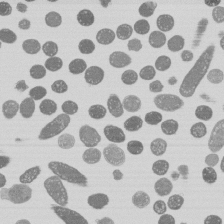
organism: E. coli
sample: Bacterial nucleoid